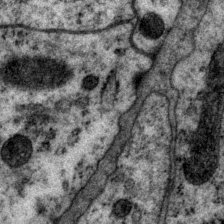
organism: P. pacificus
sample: Pharynx